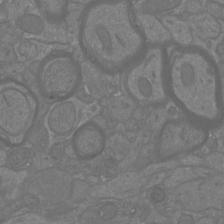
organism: Mouse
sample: Cortical neurons